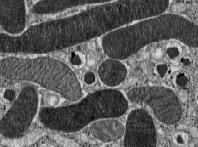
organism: C57BL Mouse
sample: Pancreatic islet